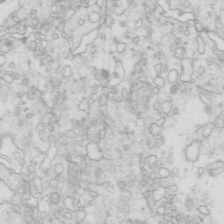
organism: Mouse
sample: Multiciliated cells